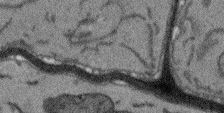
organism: Arabidopsis thaliana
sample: Root tip